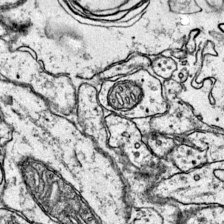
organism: Mouse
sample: Primary visual cortex